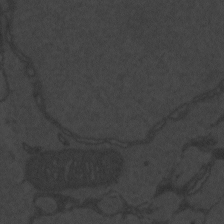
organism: Zebrafish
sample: Macrophage infected with Toxoplasma gondii